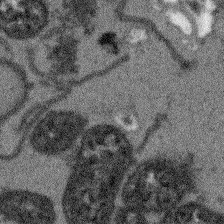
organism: Arabidopsis thaliana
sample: Root tip